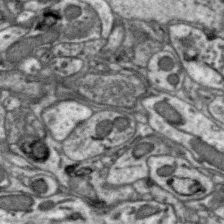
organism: Zebra finch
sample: Brain